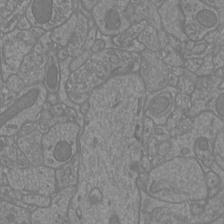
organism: Mouse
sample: Cortical neurons